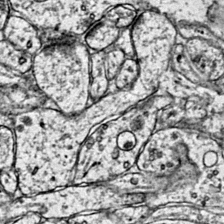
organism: Mouse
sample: Primary visual cortex